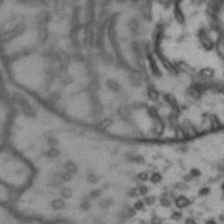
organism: Drosophila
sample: Brain